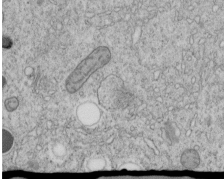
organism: C. elegans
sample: C. elegans embryo early stage